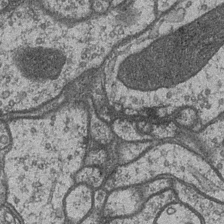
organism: Drosophila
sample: Optic medulla